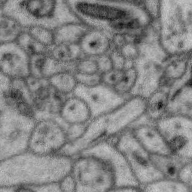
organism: Zebra finch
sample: Brain